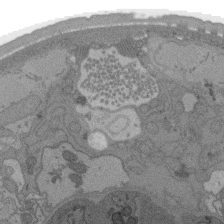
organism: C. elegans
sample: AFD neurons C. elegans